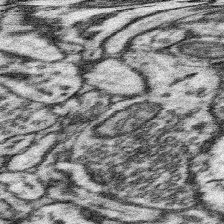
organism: Mouse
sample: Somatosensory cortex neuropil